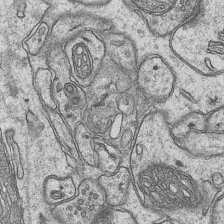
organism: Mouse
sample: CA1 Hippocampus